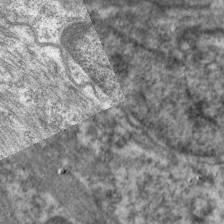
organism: C. elegans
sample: Pharynx